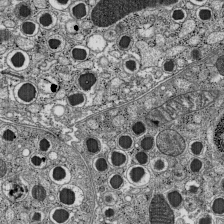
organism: C57BL Mouse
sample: Pancreatic islet